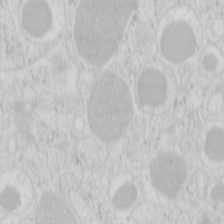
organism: Mouse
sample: Pancreas